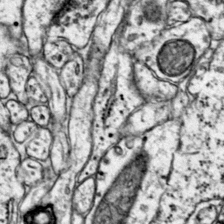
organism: Mouse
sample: Primary visual cortex